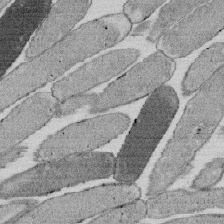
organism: E. coli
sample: Bacterial nucleoid